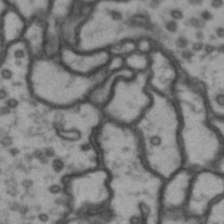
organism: Drosophila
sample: Brain